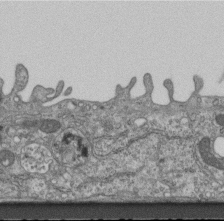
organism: Mouse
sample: Centriole in ependymal cells